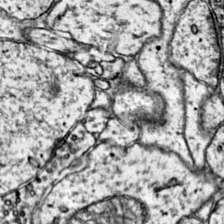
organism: Mouse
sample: Primary visual cortex